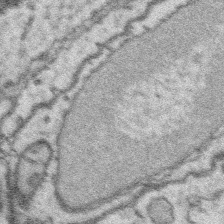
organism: Platynereis dumerilii